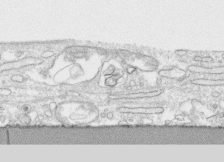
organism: Human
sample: CRL-1474